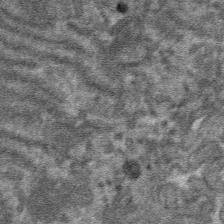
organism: Mouse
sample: Mouse hepatocytes